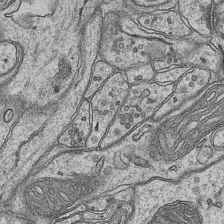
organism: Mouse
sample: CA1 Hippocampus